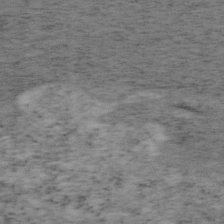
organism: Mouse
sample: OT-I killer T cells with ID8 ovarian cancer cells